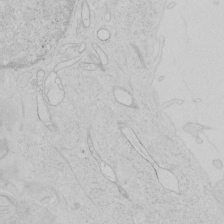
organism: Human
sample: Mitochondria in HCT116 cells